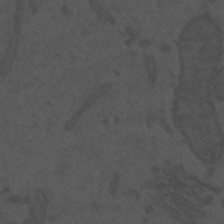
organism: Mouse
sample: Suprachiasmatic nucleus